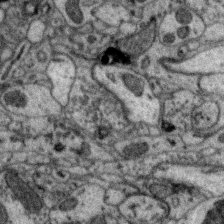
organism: Zebra finch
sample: Brain